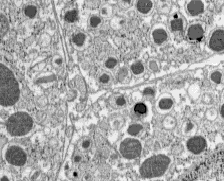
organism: C57BL Mouse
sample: Pancreatic islet